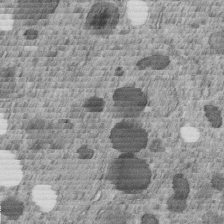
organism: C. elegans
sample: C. elegans embryo early stage